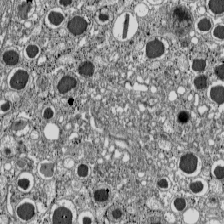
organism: C57BL Mouse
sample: Pancreatic islet